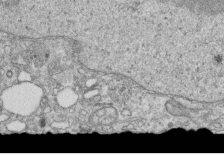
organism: Human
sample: HeLa cell HIV synapse